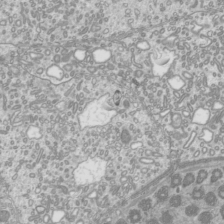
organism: Mouse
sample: Cilia; mouse epididymis